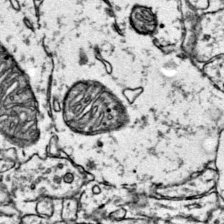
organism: Mouse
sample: Primary visual cortex